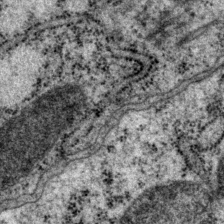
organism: P. pacificus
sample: Pharynx